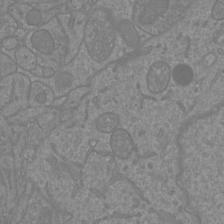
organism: Mouse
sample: Cortical neurons